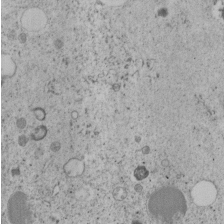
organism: C. elegans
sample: C. elegans embryo early stage